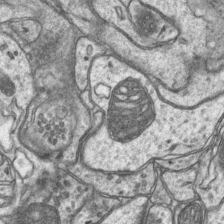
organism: Mouse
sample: CA1 Hippocampus